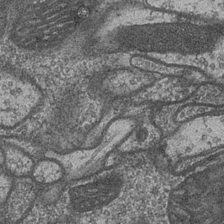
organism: Drosophila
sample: Optic medulla